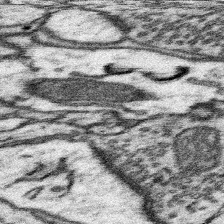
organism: Mouse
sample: Somatosensory cortex neuropil